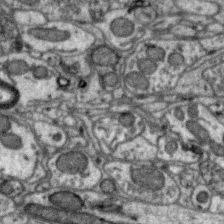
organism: Zebra finch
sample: Brain